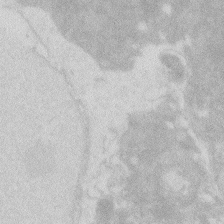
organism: Zebrafish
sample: Macrophage